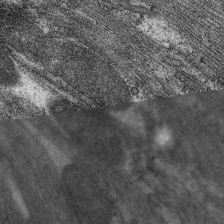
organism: C. elegans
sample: Pharynx